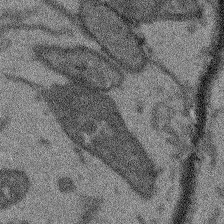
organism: Arabidopsis thaliana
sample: Root tip